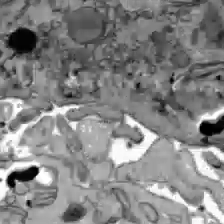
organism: C57BL Mouse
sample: Liver